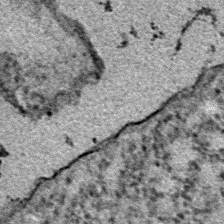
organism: E. coli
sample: E. Coli Bacteria